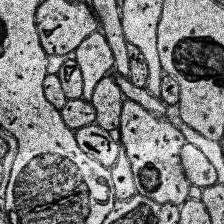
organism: Human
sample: Temporal Lobe